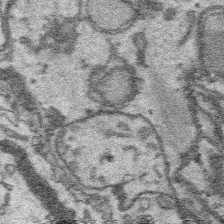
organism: Platynereis dumerilii